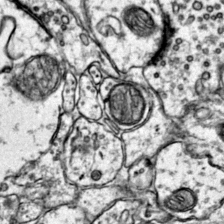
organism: Mouse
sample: Primary visual cortex